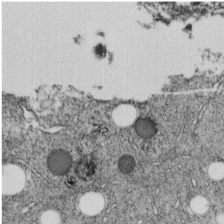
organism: C. elegans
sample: C. elegans embryo early stage